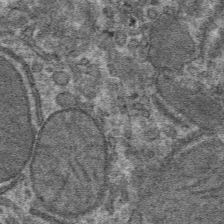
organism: Mouse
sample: Mouse hepatocytes